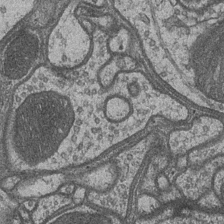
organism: Drosophila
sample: Optic medulla